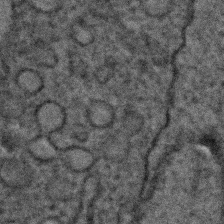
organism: C. elegans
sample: C. elegans embryo